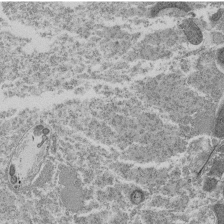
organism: Tetrahymena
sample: Cilia in tetrahymena